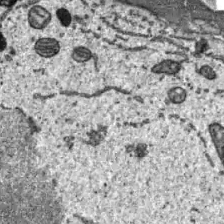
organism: Human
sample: HeLa cells